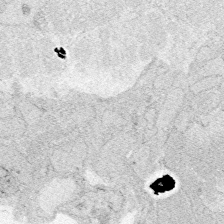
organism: Zebrafish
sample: Whole-Brain